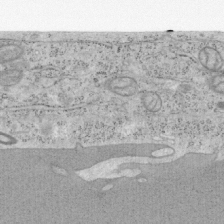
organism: Human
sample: HeLa cells